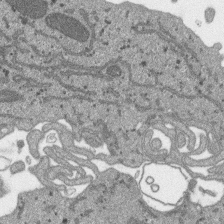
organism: Human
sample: Lung epithelial cells infected with SARS-CoV-2